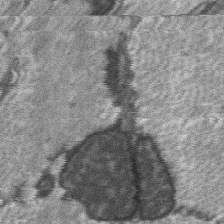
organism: C57BL Mouse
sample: Soleus